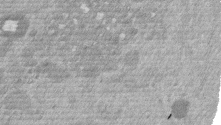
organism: Mouse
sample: Dividing mouse embryo 1 cell stage